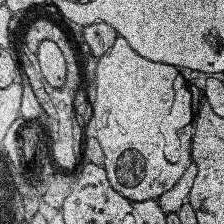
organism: Human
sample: Temporal Lobe